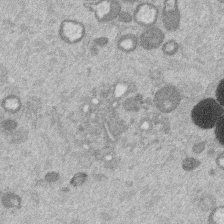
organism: Mouse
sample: Dividing mouse embryo 1 cell stage